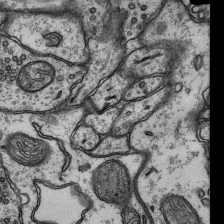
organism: Rat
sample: Hippocampus